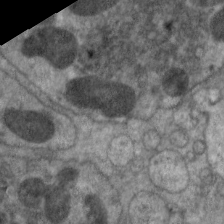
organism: C. elegans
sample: Pharynx